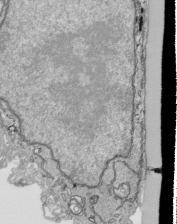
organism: Human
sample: Mitochondria in HCT116 cells